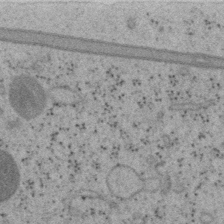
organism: Human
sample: HeLa cells